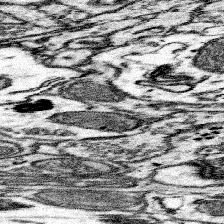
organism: Mouse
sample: Somatosensory cortex neuropil